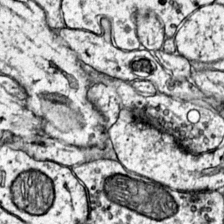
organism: Mouse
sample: Primary visual cortex